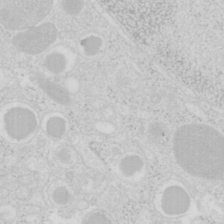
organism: Mouse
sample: Pancreas